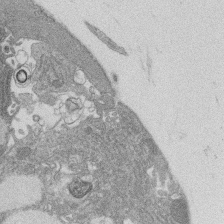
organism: Rat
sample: Salivary granule